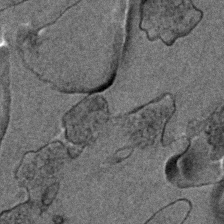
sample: Trachea